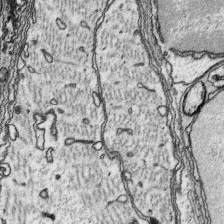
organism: Platynereis dumerilii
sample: Parapodia